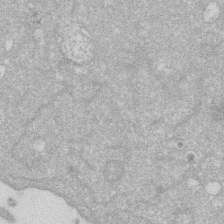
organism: Human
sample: HIV infected U937 cells